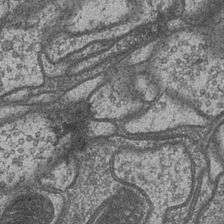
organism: Drosophila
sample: Optic medulla